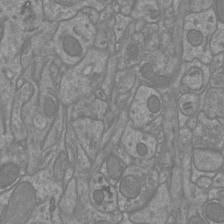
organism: Mouse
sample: Cortical neurons